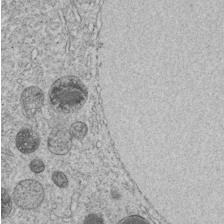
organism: C. elegans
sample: C. elegans embryo early stage